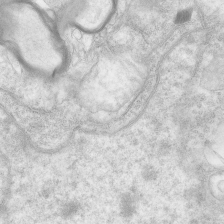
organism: Human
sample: Neocortex